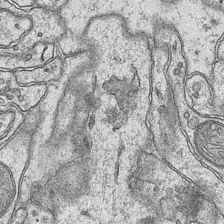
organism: Mouse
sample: CA1 Hippocampus